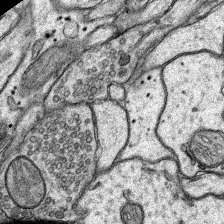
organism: Rat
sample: Hippocampus